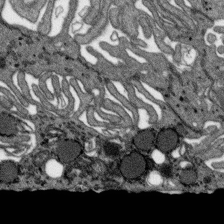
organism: Human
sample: Lung epithelial cells, uninfected (mock) control